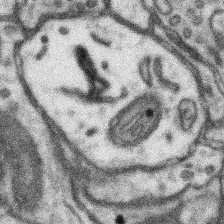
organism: Mouse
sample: Somatosensory cortex neuropil